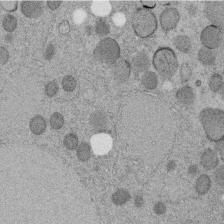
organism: C. elegans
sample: C. elegans embryo early stage